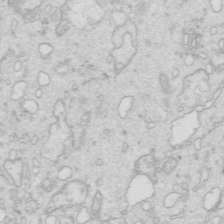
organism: Mouse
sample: Multiciliated cells